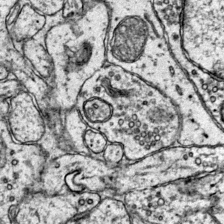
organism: Mouse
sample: Primary visual cortex